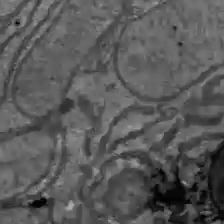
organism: C57BL Mouse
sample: Liver